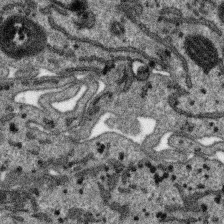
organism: Human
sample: Lung epithelial cells infected with SARS-CoV-2